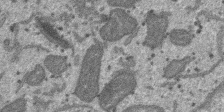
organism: Human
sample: Lung epithelial cells infected with SARS-CoV-2